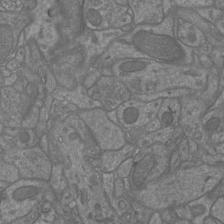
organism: Mouse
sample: Cortical neurons